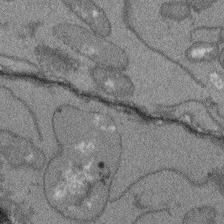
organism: Arabidopsis thaliana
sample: Root tip